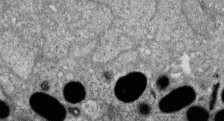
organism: Zebrafish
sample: Cilia; retinal pigment epithelium